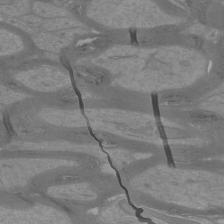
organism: Mouse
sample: Cortical neurons